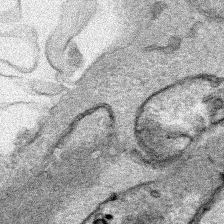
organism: Human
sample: Mitochondria in HCT116 cells